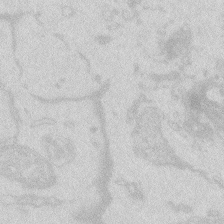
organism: Zebrafish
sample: Macrophage